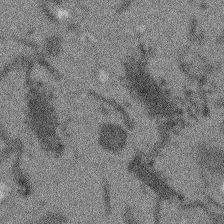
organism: Arabidopsis thaliana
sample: Root tip